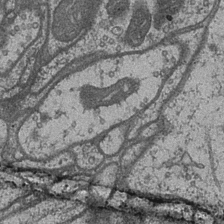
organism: Drosophila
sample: Optic medulla